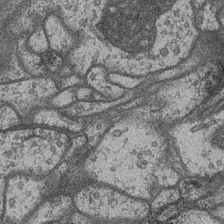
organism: Drosophila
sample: Optic medulla